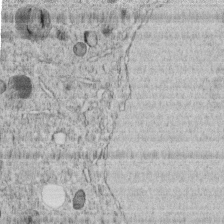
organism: C. elegans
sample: C. elegans embryo early stage